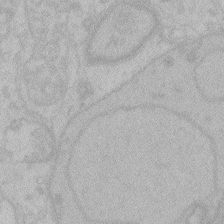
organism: Zebrafish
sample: Macrophage infected with Toxoplasma gondii